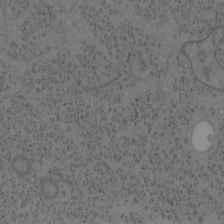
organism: Mouse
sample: OT-I killer T cells with ID8 ovarian cancer cells